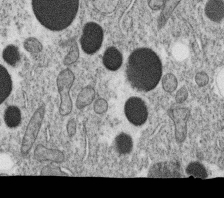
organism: C. elegans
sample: C. elegans oocyte; sperm cells